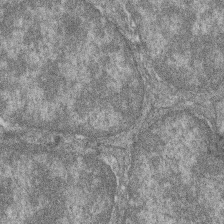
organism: Zebrafish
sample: Cilia; retinal pigment epithelium